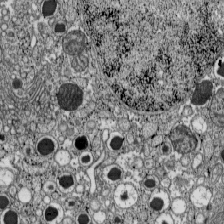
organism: C57BL Mouse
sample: Pancreatic islet